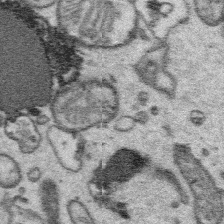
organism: Platynereis dumerilii